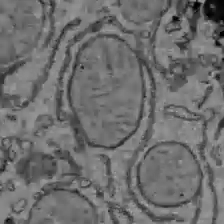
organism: C57BL Mouse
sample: Liver